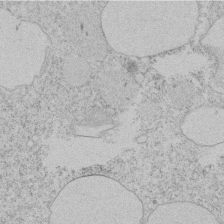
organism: Tetrahymena